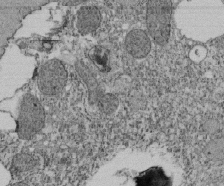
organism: Tetrahymena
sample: Cilia in tetrahymena